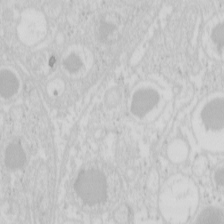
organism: Mouse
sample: Pancreas